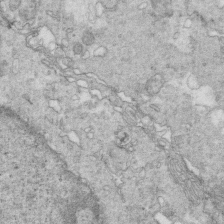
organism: Mouse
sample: Multiciliated cells